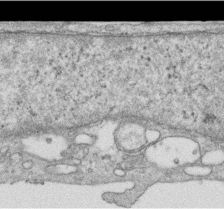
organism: Human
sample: Centriole in RPE cells